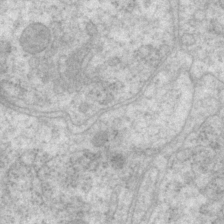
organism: P. pacificus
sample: Pharynx